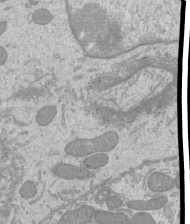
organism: Mouse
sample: Cilia; mouse epididymis